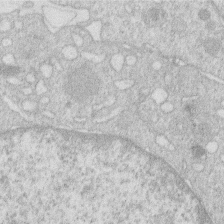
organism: Human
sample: Macrophage cells